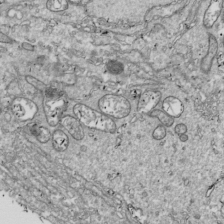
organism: Drosophila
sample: Cell division; meiosis; drosophila spermatocytes